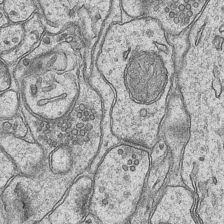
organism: Mouse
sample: CA1 Hippocampus